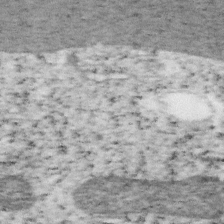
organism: Mouse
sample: OT-I killer T cells with ID8 ovarian cancer cells